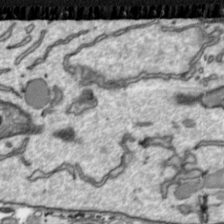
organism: Toxoplasma gondii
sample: Parasites in a vacuole inside a host cell